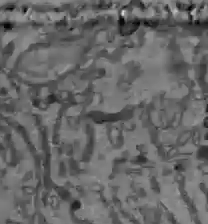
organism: C57BL Mouse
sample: Liver